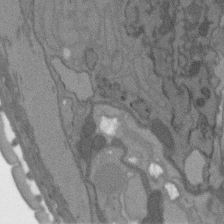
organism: C. elegans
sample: AFD neurons C. elegans